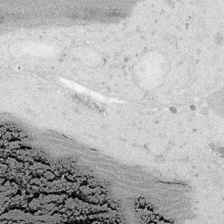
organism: Embia sp.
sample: Silk gland